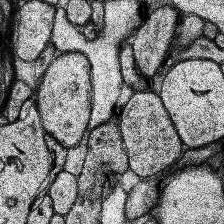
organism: Human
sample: Temporal Lobe